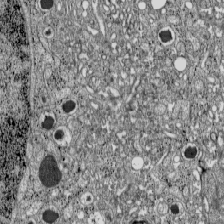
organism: C57BL Mouse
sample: Pancreatic islet